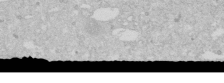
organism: Human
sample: Caco-2 cells